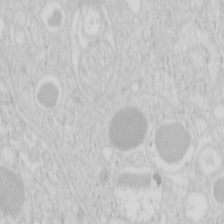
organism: Mouse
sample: Pancreas